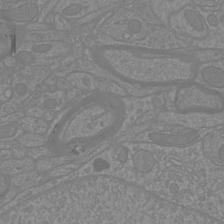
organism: Mouse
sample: Cortical neurons